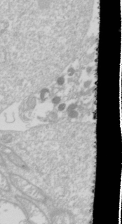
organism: Drosophila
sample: Cell division; meiosis; drosophila spermatocytes